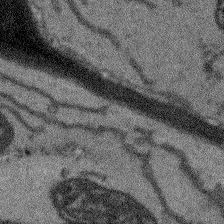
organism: Arabidopsis thaliana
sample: Root tip